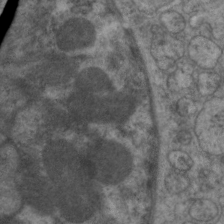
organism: C. elegans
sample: Pharynx